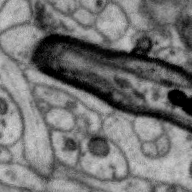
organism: Zebra finch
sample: Brain